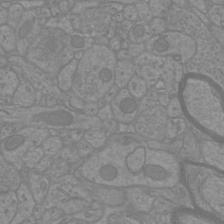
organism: Mouse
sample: Cortical neurons